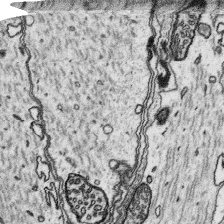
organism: Platynereis dumerilii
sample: Parapodia